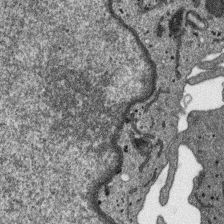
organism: Human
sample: Lung epithelial cells infected with SARS-CoV-2